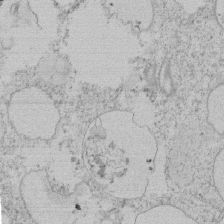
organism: Tetrahymena